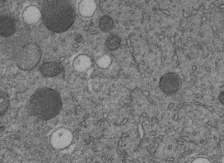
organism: C. elegans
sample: C. elegans embryo early stage